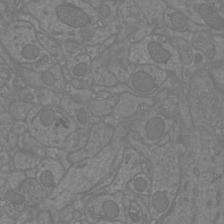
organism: Mouse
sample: Cortical neurons